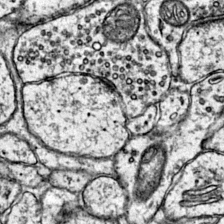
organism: Mouse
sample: Primary visual cortex